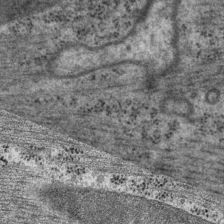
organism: P. pacificus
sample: Pharynx